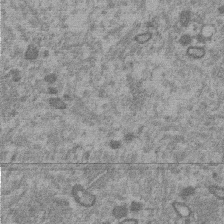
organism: Mouse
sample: Dividing mouse embryo 1 cell stage